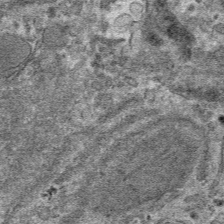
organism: Mouse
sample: Mouse hepatocytes